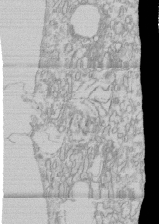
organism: Human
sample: CRL-1474